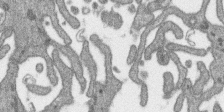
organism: Human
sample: Lung epithelial cells infected with SARS-CoV-2